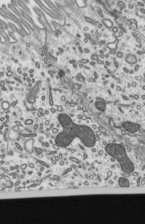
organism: Mouse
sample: Mouse epididymis efferent ductule cilia